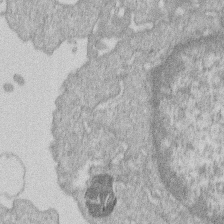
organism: Human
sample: Macrophage cells